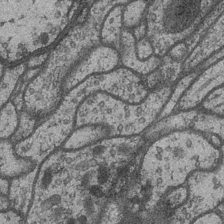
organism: Drosophila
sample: Optic medulla